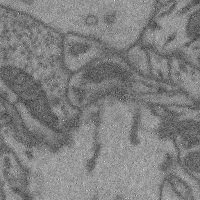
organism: Mouse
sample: Cerebral cortex